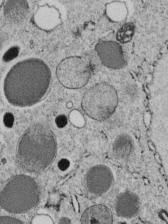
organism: C. elegans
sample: C. elegans embryo early stage